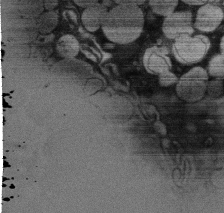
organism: Rat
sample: Salivary granule